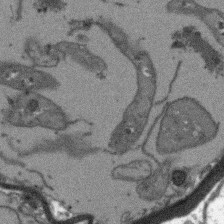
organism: Arabidopsis thaliana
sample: Root tip